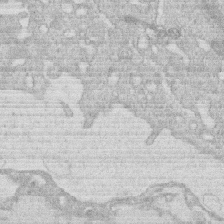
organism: Human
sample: Macrophage cells